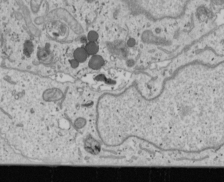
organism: Human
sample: Mitochondria in U2OS cells